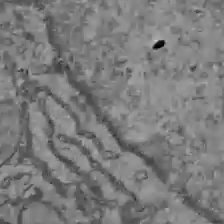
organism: C57BL Mouse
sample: Liver